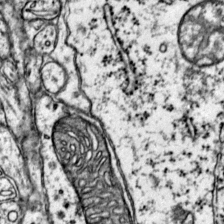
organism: Mouse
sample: Primary visual cortex